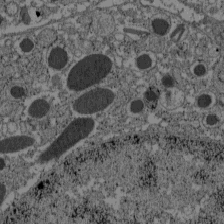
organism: C57BL Mouse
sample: Pancreatic islet